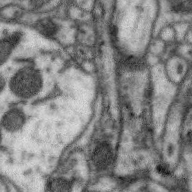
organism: Zebra finch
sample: Brain